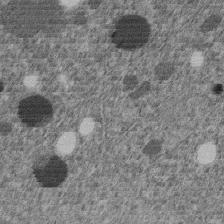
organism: C. elegans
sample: C. elegans embryo early stage